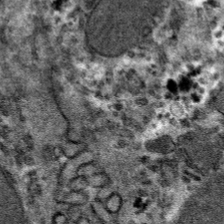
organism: Mouse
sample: Mouse hepatocytes